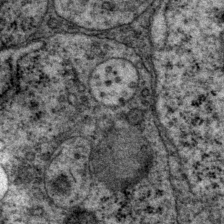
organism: P. pacificus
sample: Pharynx